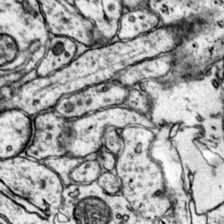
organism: Mouse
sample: Primary visual cortex